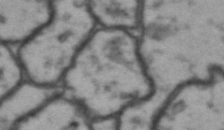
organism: Drosophila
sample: Brain